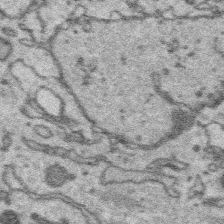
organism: Platynereis dumerilii